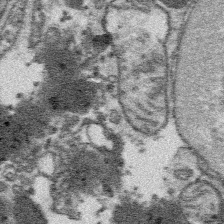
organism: Platynereis dumerilii